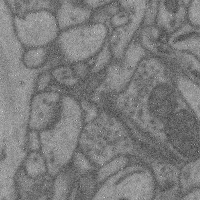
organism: Mouse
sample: Cerebral cortex